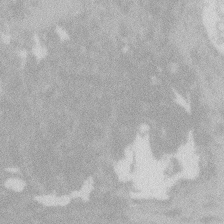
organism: Zebrafish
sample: Macrophage